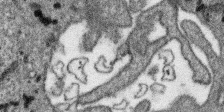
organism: Human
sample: Lung epithelial cells infected with SARS-CoV-2